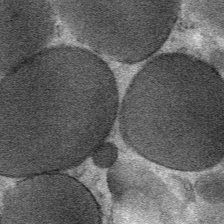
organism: Mouse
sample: Mouse Salivary gland